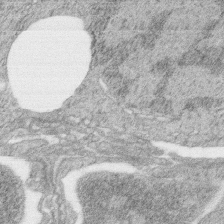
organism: Zebrafish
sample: synaptic ribbons in rod cells and cone cells